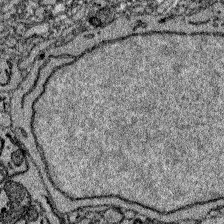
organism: Zebrafish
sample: Larval olfactory bulb